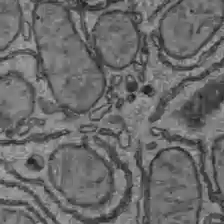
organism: C57BL Mouse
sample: Liver